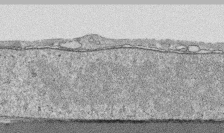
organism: Human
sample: CRL-1474